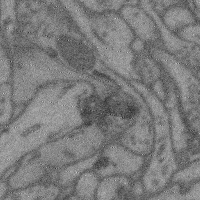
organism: Mouse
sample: Cerebral cortex